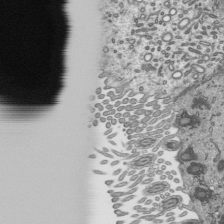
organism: Mouse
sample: Mouse epididymis efferent ductule cilia